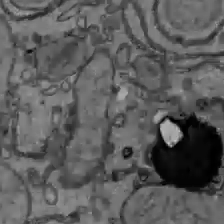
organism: C57BL Mouse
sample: Liver